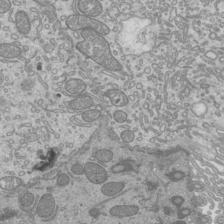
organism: Mouse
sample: Cilia; mouse epididymis